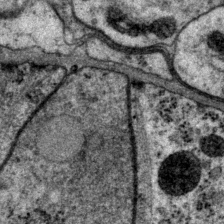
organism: P. pacificus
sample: Pharynx